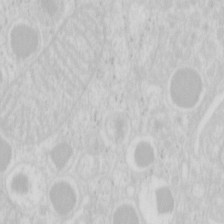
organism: Mouse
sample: Pancreas